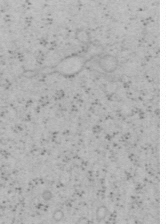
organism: Human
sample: HeLa cells